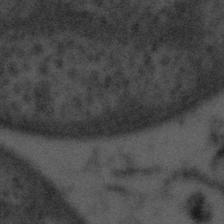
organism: Tuwongella immobilis